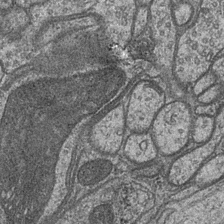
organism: Drosophila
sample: Optic medulla